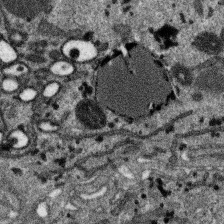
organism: Human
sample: Lung epithelial cells infected with SARS-CoV-2